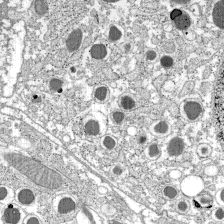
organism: C57BL Mouse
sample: Pancreatic islet